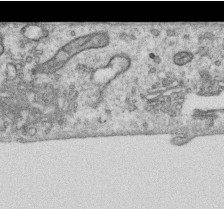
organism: Human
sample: Centriole in RPE cells